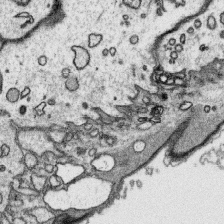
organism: Platynereis dumerilii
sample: Parapodia